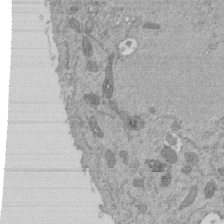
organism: Mouse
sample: ED-1 cell nuclei; centrioles